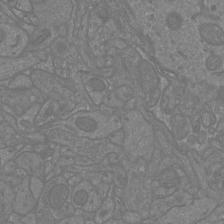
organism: Mouse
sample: Cortical neurons